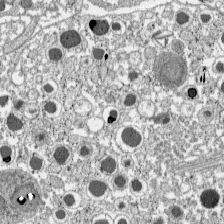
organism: C57BL Mouse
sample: Pancreatic islet